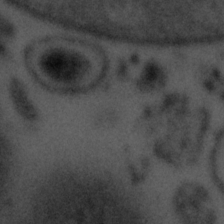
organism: Tuwongella immobilis